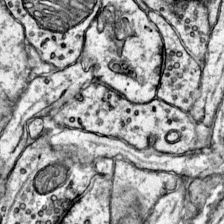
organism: Mouse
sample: Primary visual cortex